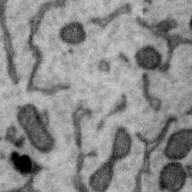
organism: Zebra finch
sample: Brain